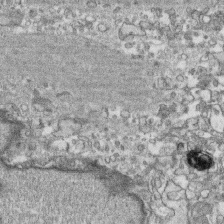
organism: Human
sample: CRL-1474